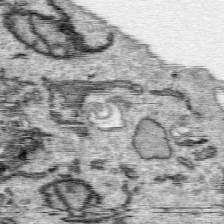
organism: Human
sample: HeLa cells